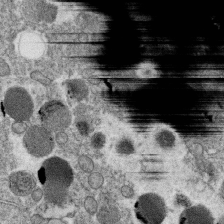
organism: C. elegans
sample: C. elegans oocyte; sperm cells